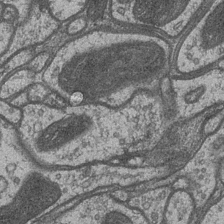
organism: Drosophila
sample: Optic medulla